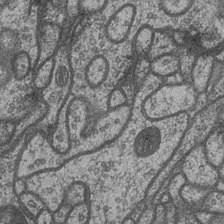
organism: Drosophila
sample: Optic medulla